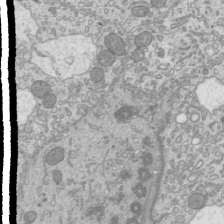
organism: Mouse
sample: Cilia; mouse epididymis